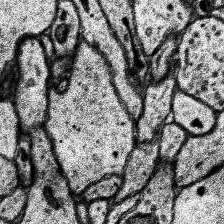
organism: Human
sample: Temporal Lobe